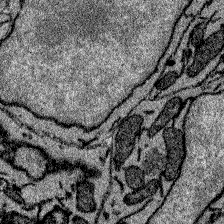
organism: Zebrafish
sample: Larval olfactory bulb